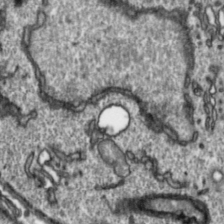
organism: Toxoplasma gondii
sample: Parasites in a vacuole inside a host cell